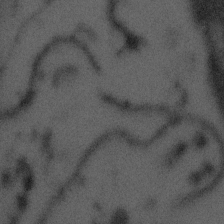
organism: Tuwongella immobilis